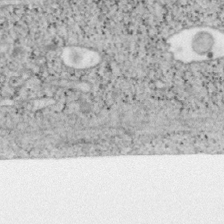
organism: Mouse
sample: OT-I killer T cells with ID8 ovarian cancer cells